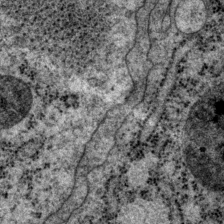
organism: P. pacificus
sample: Pharynx